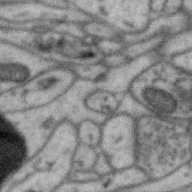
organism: Zebra finch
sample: Brain